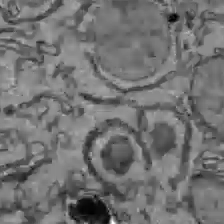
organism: C57BL Mouse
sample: Liver